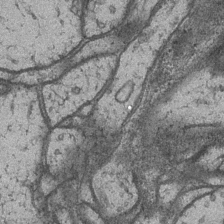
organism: Drosophila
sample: Optic medulla